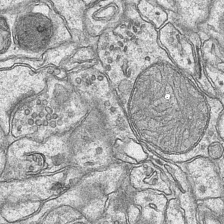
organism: Mouse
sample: CA1 Hippocampus